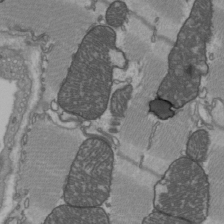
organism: C57BL Mouse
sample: Heart